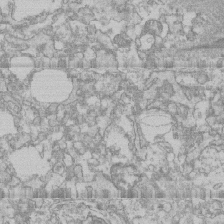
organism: Human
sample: CRL-1474